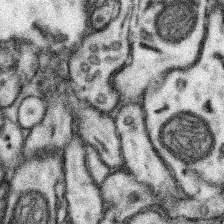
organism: Mouse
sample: Somatosensory cortex neuropil